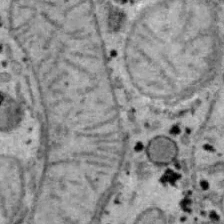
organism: Mouse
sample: Liver from an obese (ob/ob) mouse